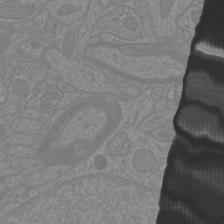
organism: Mouse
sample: Cortical neurons